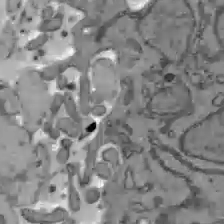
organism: C57BL Mouse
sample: Liver